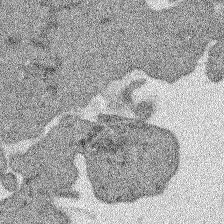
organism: Human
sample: HeLa cells